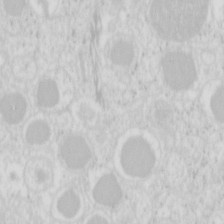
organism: Mouse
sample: Pancreas